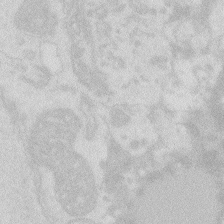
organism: Zebrafish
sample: Macrophage